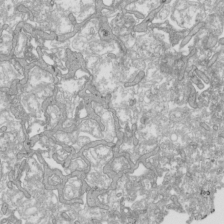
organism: Human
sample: Mitochondria in HCT116 cells